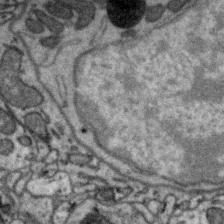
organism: Zebra finch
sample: Brain